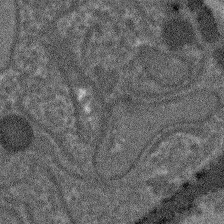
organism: Arabidopsis thaliana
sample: Root tip